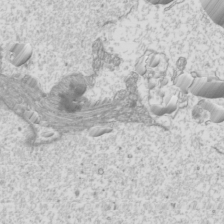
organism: Mouse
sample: Cilia; mouse epididymis